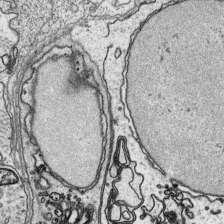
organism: Platynereis dumerilii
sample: Parapodia